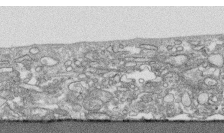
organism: Human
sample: CRL-1474